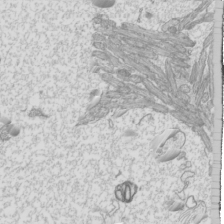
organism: Mouse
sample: Cilia; mouse epididymis